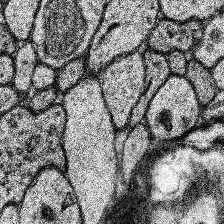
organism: Human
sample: Temporal Lobe